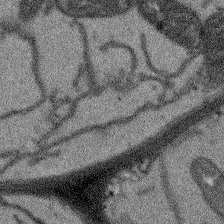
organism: Arabidopsis thaliana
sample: Root tip